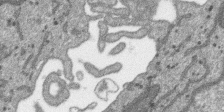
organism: Human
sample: Lung epithelial cells infected with SARS-CoV-2